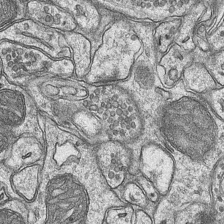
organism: Mouse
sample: CA1 Hippocampus